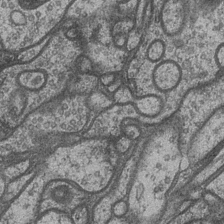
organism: Drosophila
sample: Optic medulla